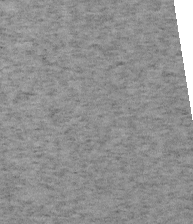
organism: Mouse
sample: OT-I killer T cells with ID8 ovarian cancer cells